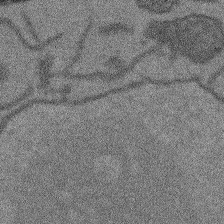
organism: Arabidopsis thaliana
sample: Root tip